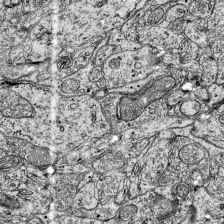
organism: Mouse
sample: Visual Cortex